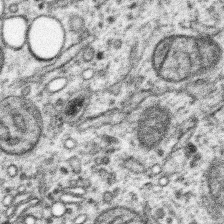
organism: Human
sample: HeLa cells